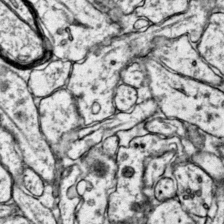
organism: Mouse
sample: Primary visual cortex